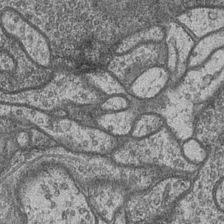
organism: Drosophila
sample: Optic medulla